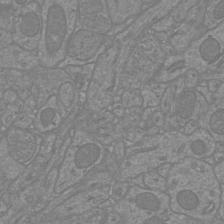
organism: Mouse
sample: Cortical neurons